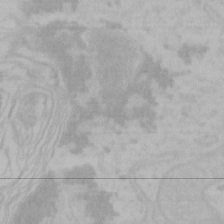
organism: Mouse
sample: Choroid plexus